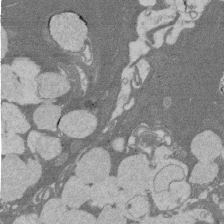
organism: Rat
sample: Salivary granule